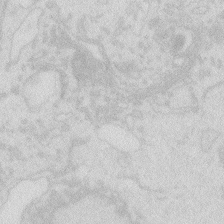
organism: Zebrafish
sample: Macrophage